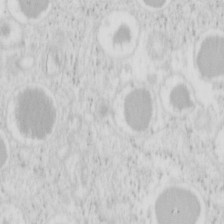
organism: Mouse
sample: Pancreas